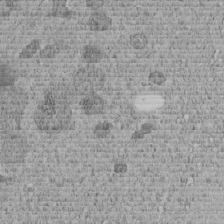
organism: C. elegans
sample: C. elegans embryo early stage